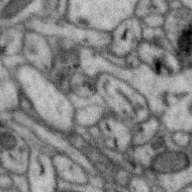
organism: Zebra finch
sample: Brain